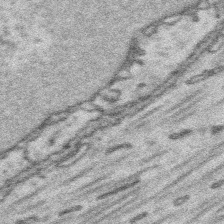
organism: Platynereis dumerilii